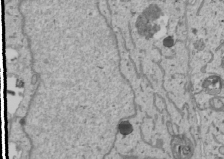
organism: Human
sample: Mitochondria in U2OS cells